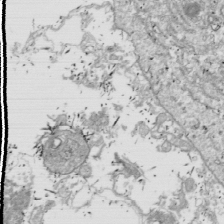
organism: Drosophila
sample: Cell division; meiosis; drosophila spermatocytes